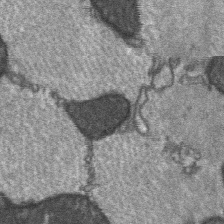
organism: C57BL Mouse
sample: Soleus